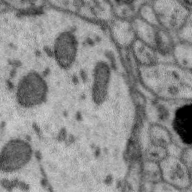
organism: Zebra finch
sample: Brain